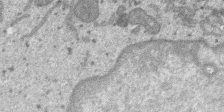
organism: Human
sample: Lung epithelial cells infected with SARS-CoV-2